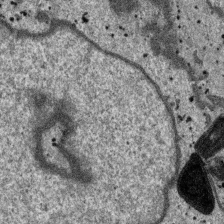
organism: Human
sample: Lung epithelial cells, uninfected (mock) control